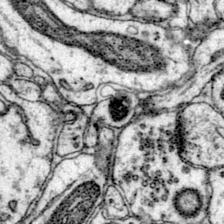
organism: Mouse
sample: Primary visual cortex